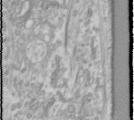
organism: Human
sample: Cilia; basal body in RPE cells